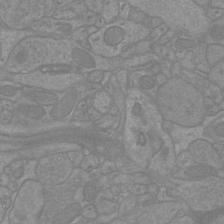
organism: Mouse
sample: Cortical neurons